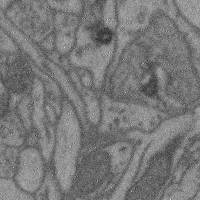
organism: Mouse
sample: Cerebral cortex